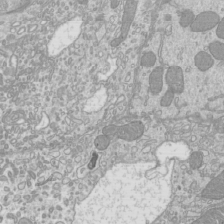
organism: Mouse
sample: Cilia; mouse epididymis